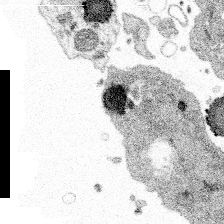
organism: Spongilla lacustris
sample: Multiple